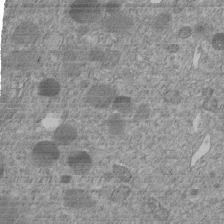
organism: C. elegans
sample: C. elegans embryo early stage